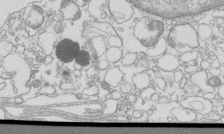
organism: Mouse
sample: Macrophages